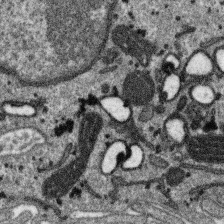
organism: Human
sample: Lung epithelial cells infected with SARS-CoV-2